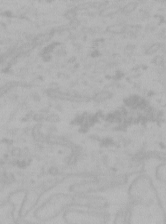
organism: Mouse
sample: Choroid plexus